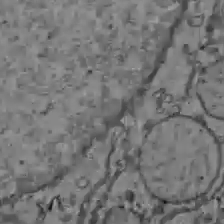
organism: C57BL Mouse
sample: Liver